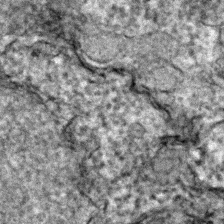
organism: Zebrafish